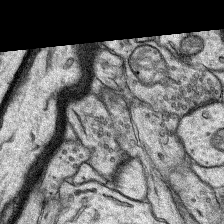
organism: Rat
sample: Hippocampus